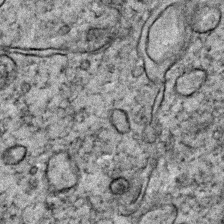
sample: Trachea